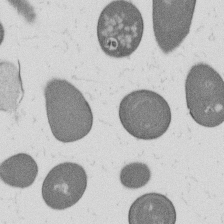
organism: B. subtilis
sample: Bacterial spore